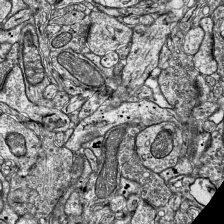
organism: Mouse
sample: Visual Cortex